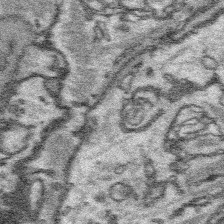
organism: Platynereis dumerilii